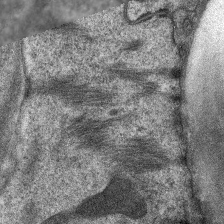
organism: C. elegans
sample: Pharynx